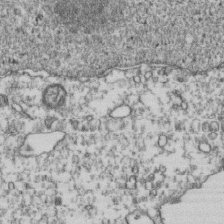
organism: Human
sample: Activated Jurkat CD4+ T cells